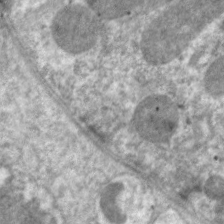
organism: C. elegans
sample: Pharynx